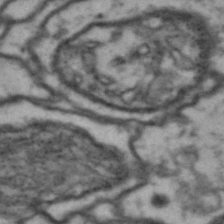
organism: Drosophila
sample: Brain